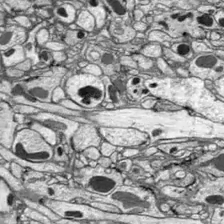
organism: Drosophila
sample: Optic lobe